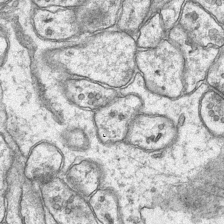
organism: Mouse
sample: CA1 Hippocampus